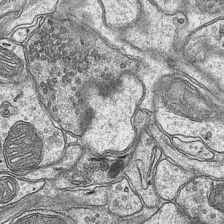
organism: Mouse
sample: CA1 Hippocampus